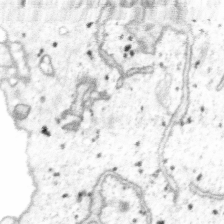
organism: Human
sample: HeLa cells